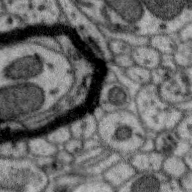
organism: Zebra finch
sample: Brain